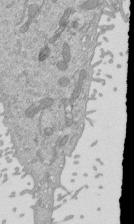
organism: Mouse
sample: ED-1 cell nuclei; centrioles